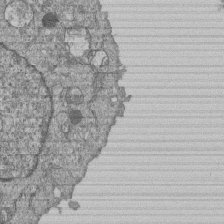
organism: Human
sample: MDA-MB-231 cells